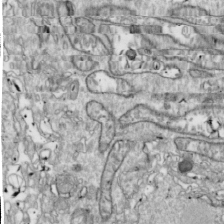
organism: Drosophila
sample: Cell division; meiosis; drosophila spermatocytes